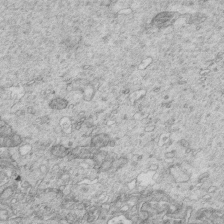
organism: Mouse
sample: Multiciliated cells